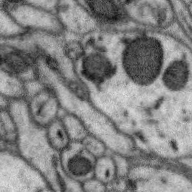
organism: Zebra finch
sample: Brain